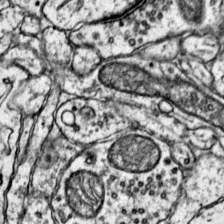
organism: Mouse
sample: Primary visual cortex